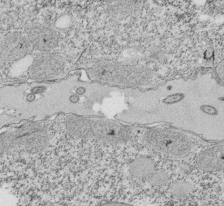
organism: Tetrahymena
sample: Cilia in tetrahymena